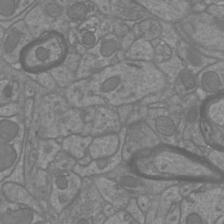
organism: Mouse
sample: Cortical neurons